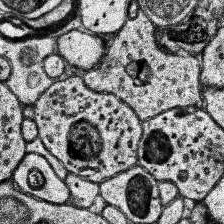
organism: Human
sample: Temporal Lobe